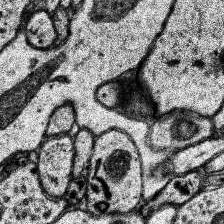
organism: Human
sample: Temporal Lobe